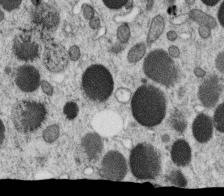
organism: C. elegans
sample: C. elegans oocyte; sperm cells